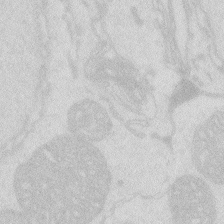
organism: Zebrafish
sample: Macrophage